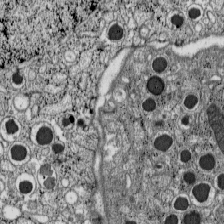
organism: C57BL Mouse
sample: Pancreatic islet